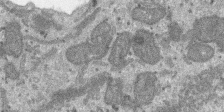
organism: Human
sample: Lung epithelial cells infected with SARS-CoV-2